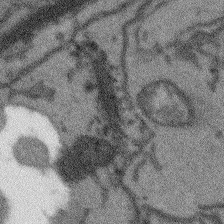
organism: Arabidopsis thaliana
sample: Root tip